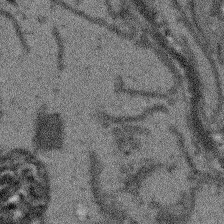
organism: Arabidopsis thaliana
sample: Root tip